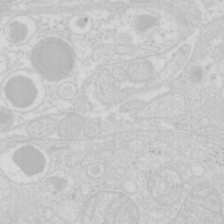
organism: Mouse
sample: Pancreas